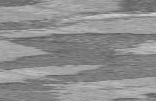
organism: C57BL Mouse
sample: Heart